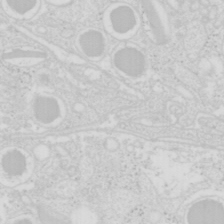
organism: Mouse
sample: Pancreas